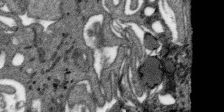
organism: Human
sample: Lung epithelial cells, uninfected (mock) control